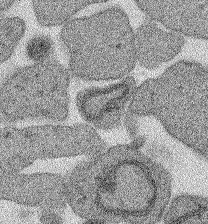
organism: Human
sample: HeLa cells